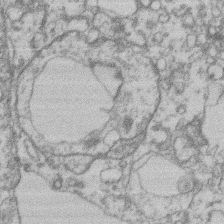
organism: Mouse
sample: T cell stromal cell synapse